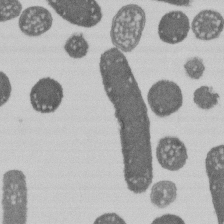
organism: E. coli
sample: Bacterial nucleoid